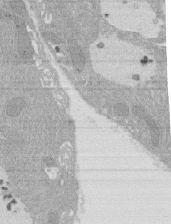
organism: Rat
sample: Salivary granule